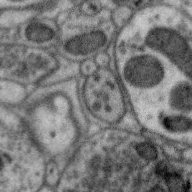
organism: Zebra finch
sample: Brain